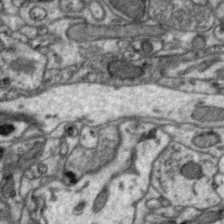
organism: Zebra finch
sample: Brain